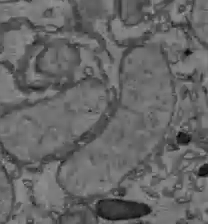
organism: C57BL Mouse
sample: Liver